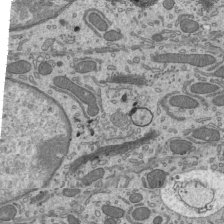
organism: Mouse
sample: Mouse epididymis efferent ductule cilia